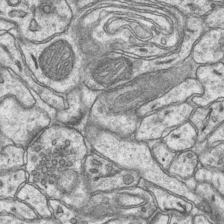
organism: Mouse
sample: CA1 Hippocampus